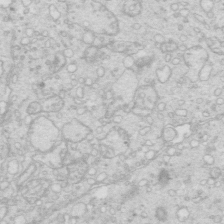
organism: Mouse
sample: Multiciliated cells